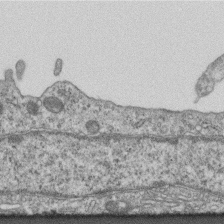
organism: Mouse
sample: Centriole in ependymal cells